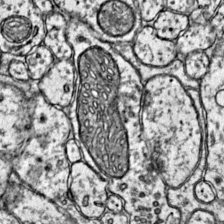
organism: Mouse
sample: Primary visual cortex